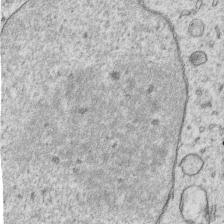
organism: Human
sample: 1205lu cells